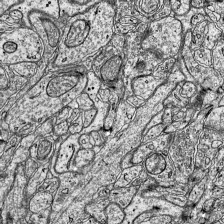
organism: Mouse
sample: Visual Cortex